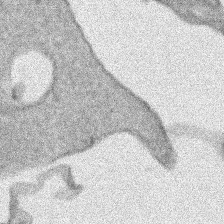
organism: Human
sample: Mitochondria in HCT116 cells